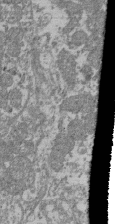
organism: Mouse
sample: Glomerulus